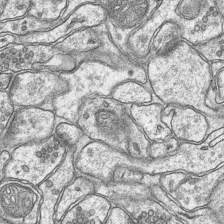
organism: Mouse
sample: CA1 Hippocampus